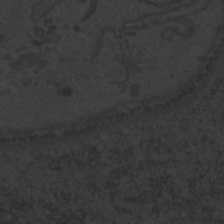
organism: Zebrafish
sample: Macrophage infected with Toxoplasma gondii